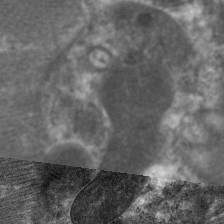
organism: C. elegans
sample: Pharynx